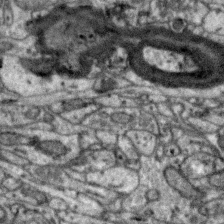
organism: Zebra finch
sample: Brain